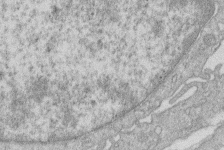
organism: Human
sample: Macrophage cells